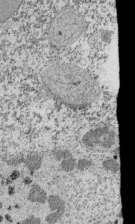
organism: Tetrahymena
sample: Cilia in tetrahymena